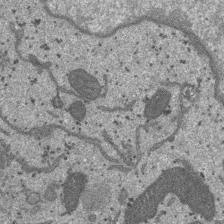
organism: Human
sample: Lung epithelial cells infected with SARS-CoV-2